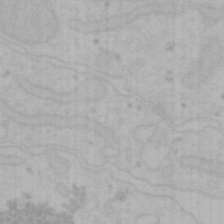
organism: Mouse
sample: Choroid plexus